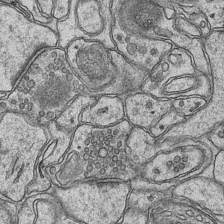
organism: Mouse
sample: CA1 Hippocampus